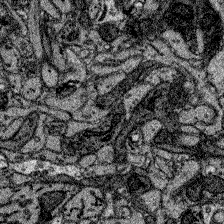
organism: Zebrafish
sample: Larval olfactory bulb